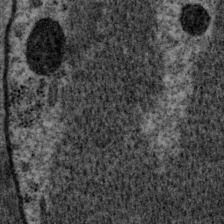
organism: P. pacificus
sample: Pharynx